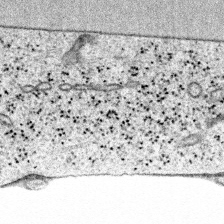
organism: Human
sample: HeLa cells